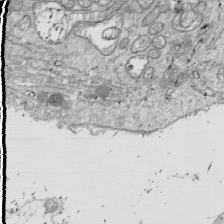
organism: Drosophila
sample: Cell division; meiosis; drosophila spermatocytes